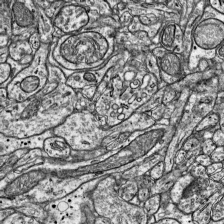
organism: Mouse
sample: Visual Cortex